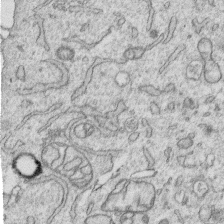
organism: Human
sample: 1205lu cells